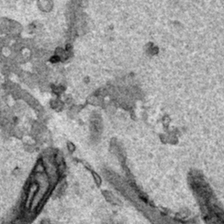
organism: Human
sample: Mitochondria in HCT116 cells